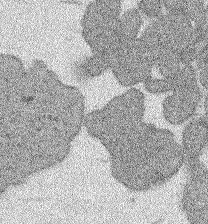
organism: Human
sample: HeLa cells